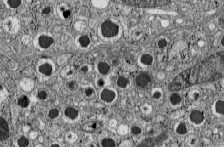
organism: C57BL Mouse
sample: Pancreatic islet